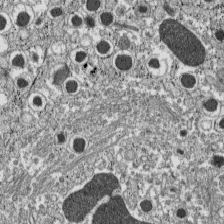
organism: C57BL Mouse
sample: Pancreatic islet